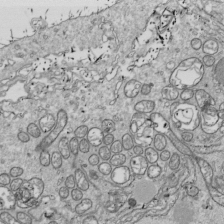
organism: Drosophila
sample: Cell division; meiosis; drosophila spermatocytes